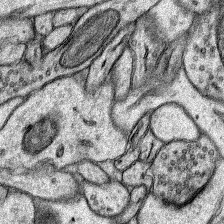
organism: Rat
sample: Hippocampus